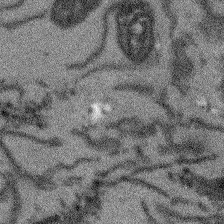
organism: Arabidopsis thaliana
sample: Root tip